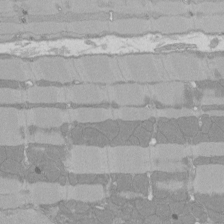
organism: Rat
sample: Left ventricle